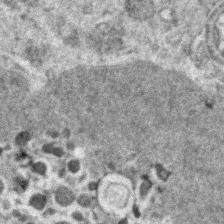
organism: Zebrafish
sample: Zebrafish embryo